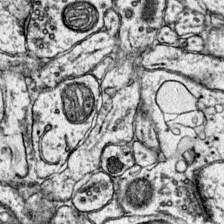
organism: Mouse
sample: Primary visual cortex